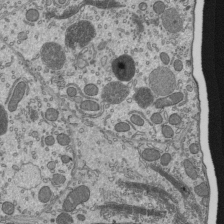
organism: Mouse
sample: Mouse epididymis efferent ductule cilia